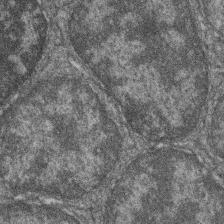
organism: Zebrafish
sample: Cilia; retinal pigment epithelium